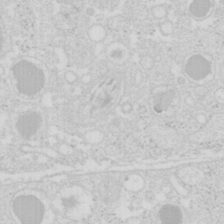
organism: Mouse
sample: Pancreas